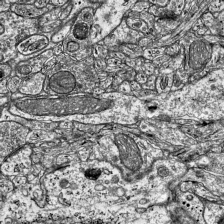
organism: Mouse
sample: Visual Cortex